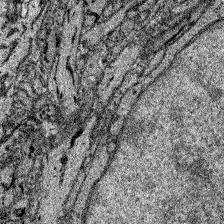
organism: Zebrafish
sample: Larval olfactory bulb